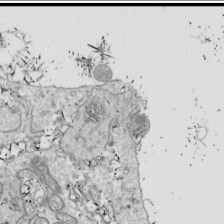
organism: Drosophila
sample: Cell division; meiosis; drosophila spermatocytes